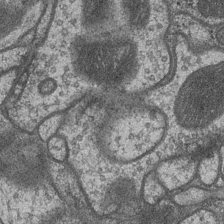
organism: Drosophila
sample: Optic medulla